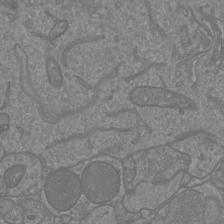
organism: Mouse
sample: Cortical neurons